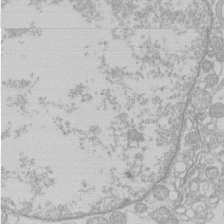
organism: Human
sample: Macrophage cells